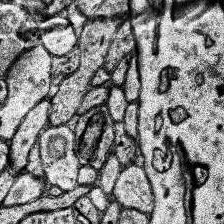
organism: Human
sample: Temporal Lobe